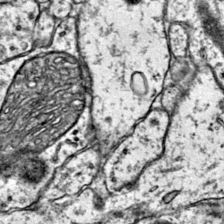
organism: Mouse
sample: Primary visual cortex